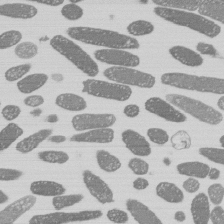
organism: E. coli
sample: Bacterial nucleoid